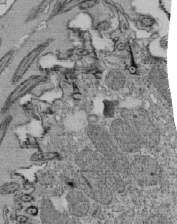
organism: Tetrahymena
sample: Cilia in tetrahymena